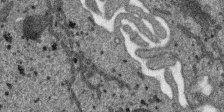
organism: Human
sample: Lung epithelial cells infected with SARS-CoV-2